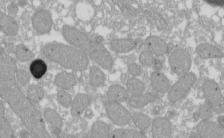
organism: Xenopus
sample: Cilia; centrioles in frog embryo cells